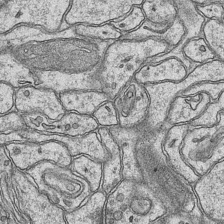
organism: Mouse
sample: CA1 Hippocampus